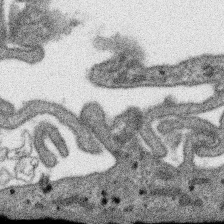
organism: Human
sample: Lung epithelial cells infected with SARS-CoV-2